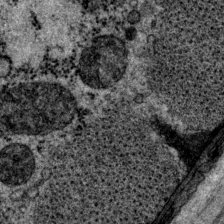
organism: P. pacificus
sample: Pharynx